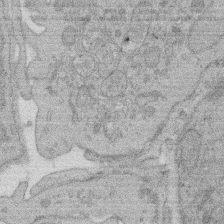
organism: Rat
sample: Salivary granule